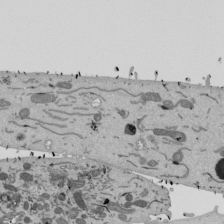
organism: Mouse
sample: ED-1 cell nuclei; centrioles